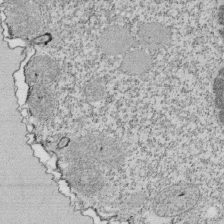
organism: Tetrahymena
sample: Cilia in tetrahymena